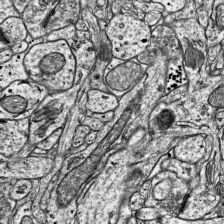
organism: Mouse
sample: Visual Cortex